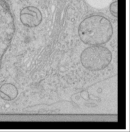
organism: Human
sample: Mitochondria in HCT116 cells